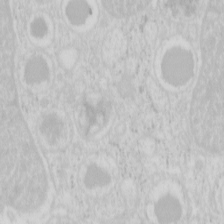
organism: Mouse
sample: Pancreas